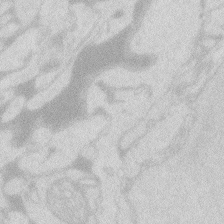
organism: Zebrafish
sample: Macrophage